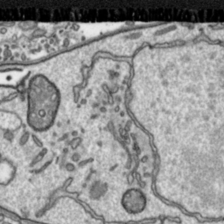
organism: Toxoplasma gondii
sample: Parasites in a vacuole inside a host cell